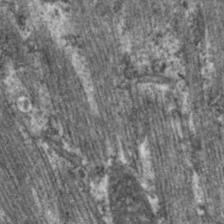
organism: C. elegans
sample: Pharynx